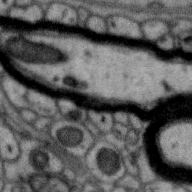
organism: Zebra finch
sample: Brain